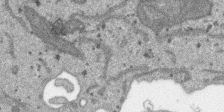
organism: Human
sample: Lung epithelial cells infected with SARS-CoV-2